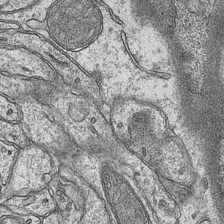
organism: Mouse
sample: CA1 Hippocampus